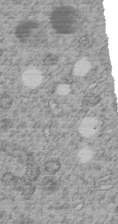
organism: C. elegans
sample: C. elegans embryo early stage